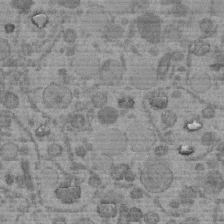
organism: C. elegans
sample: C. elegans embryo early stage